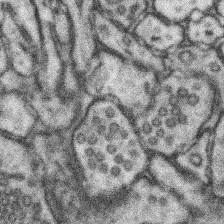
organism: Mouse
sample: Somatosensory cortex neuropil